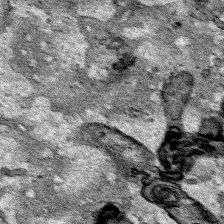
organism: Human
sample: Mitochondria in HCT116 cells